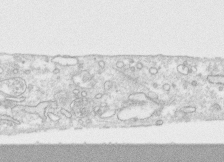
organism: Human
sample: CRL-1474